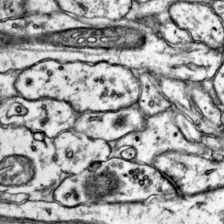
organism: Mouse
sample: Primary visual cortex